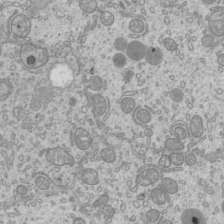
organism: Mouse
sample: Cilia; mouse epididymis